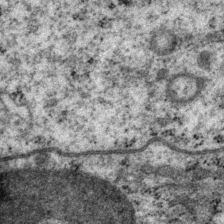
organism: P. pacificus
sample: Pharynx